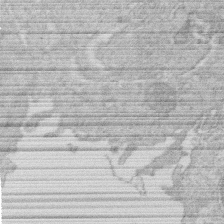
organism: Human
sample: Macrophage cells